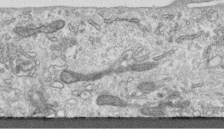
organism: Human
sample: Centriole in RPE cells